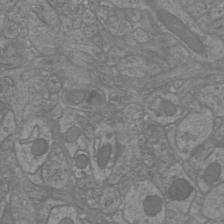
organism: Mouse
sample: Cortical neurons